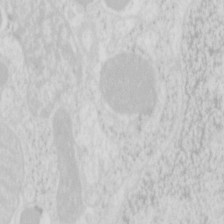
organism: Mouse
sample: Pancreas